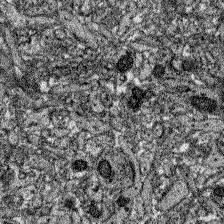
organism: Zebrafish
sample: Larval olfactory bulb